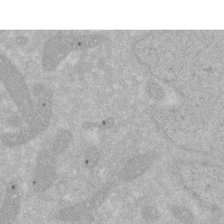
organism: Human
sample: HIV infected U937 cells